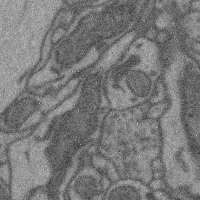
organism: Mouse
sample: Cerebral cortex